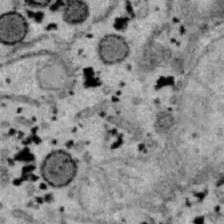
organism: Mouse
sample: Liver from an obese (ob/ob) mouse